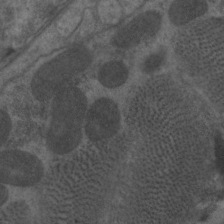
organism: C. elegans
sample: Pharynx